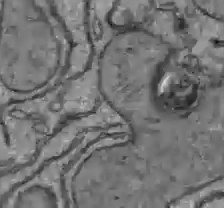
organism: C57BL Mouse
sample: Liver